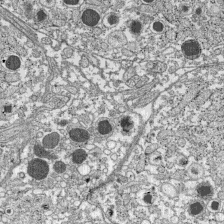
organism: C57BL Mouse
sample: Pancreatic islet